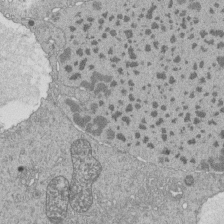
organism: Tetrahymena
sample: Cilia in tetrahymena